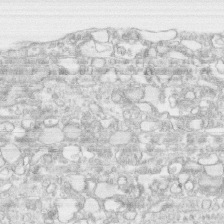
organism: Human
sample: CRL-1474